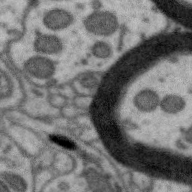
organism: Zebra finch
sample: Brain